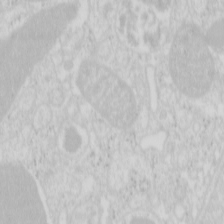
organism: Mouse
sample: Pancreas